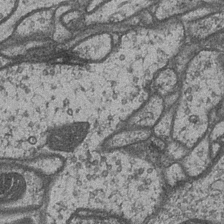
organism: Drosophila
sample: Optic medulla